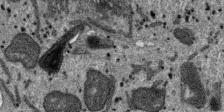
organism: Human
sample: Lung epithelial cells, uninfected (mock) control